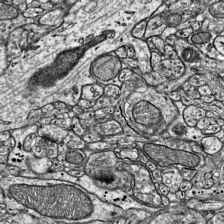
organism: Mouse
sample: Visual Cortex